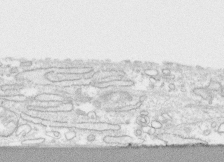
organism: Human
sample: CRL-1474